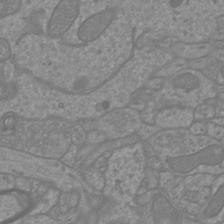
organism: Mouse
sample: Cortical neurons